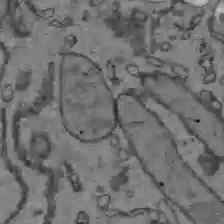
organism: C57BL Mouse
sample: Liver